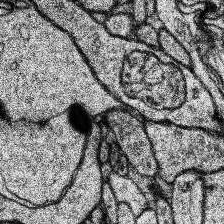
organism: Human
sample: Temporal Lobe